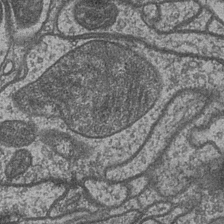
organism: Drosophila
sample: Optic medulla